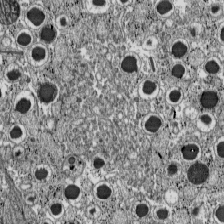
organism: C57BL Mouse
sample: Pancreatic islet